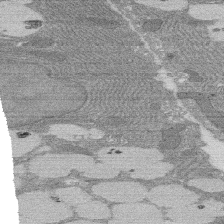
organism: Rat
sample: Salivary granule